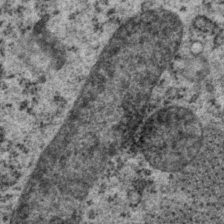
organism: P. pacificus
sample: Pharynx